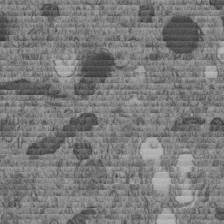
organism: C. elegans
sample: C. elegans embryo early stage